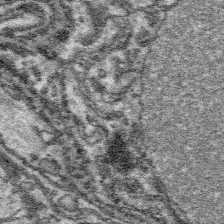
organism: Platynereis dumerilii